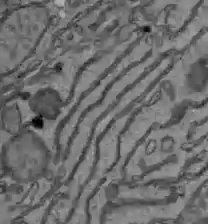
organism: C57BL Mouse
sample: Liver